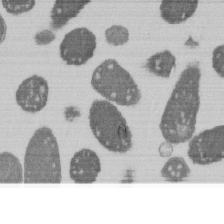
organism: E. coli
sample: Bacterial nucleoid